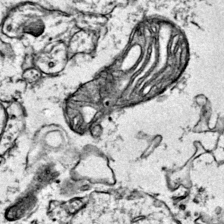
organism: Mouse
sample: Primary visual cortex